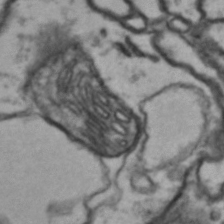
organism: Drosophila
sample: Brain